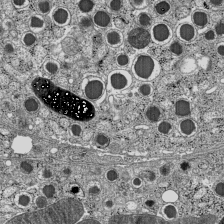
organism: C57BL Mouse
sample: Pancreatic islet